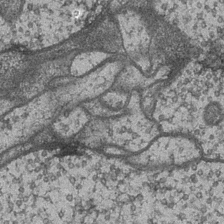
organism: Drosophila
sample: Optic medulla